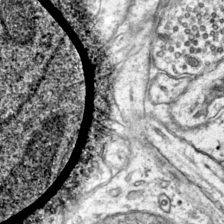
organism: Mouse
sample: Primary visual cortex